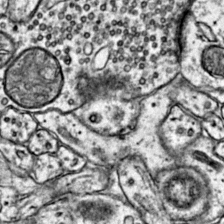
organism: Mouse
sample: Primary visual cortex